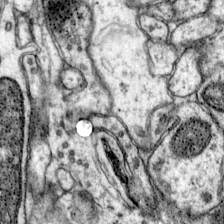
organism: Mouse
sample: Primary visual cortex